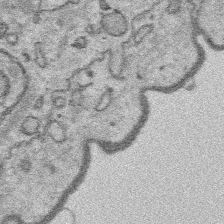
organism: Platynereis dumerilii